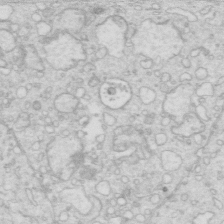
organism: Mouse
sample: Multiciliated cells